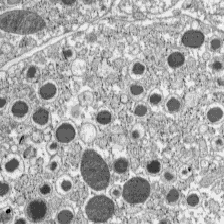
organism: C57BL Mouse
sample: Pancreatic islet